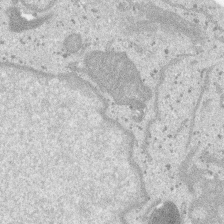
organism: Human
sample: Lung epithelial cells infected with SARS-CoV-2